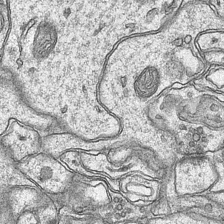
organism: Mouse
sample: CA1 Hippocampus